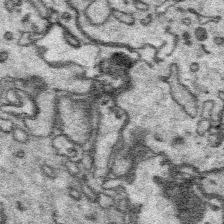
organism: Platynereis dumerilii